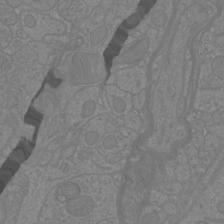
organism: Mouse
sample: Cortical neurons